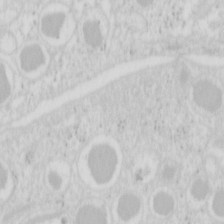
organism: Mouse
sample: Pancreas